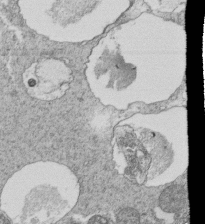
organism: Tetrahymena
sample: Cilia in tetrahymena